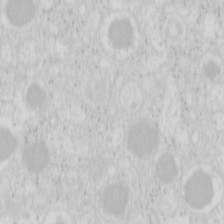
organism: Mouse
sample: Pancreas